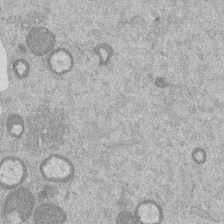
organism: Mouse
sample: Dividing mouse embryo 1 cell stage